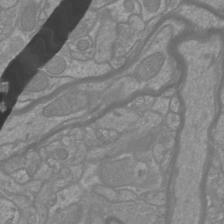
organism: Mouse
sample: Cortical neurons